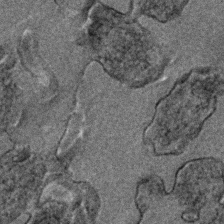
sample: Trachea